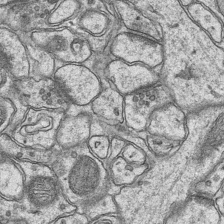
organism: Mouse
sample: CA1 Hippocampus